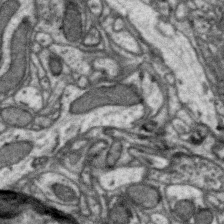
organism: Zebra finch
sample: Brain